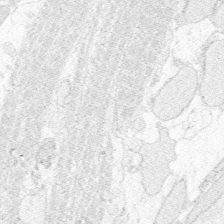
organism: Zebrafish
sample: Whole-Brain